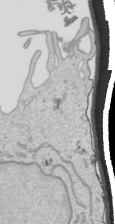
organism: Human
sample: Mitochondria in HCT116 cells